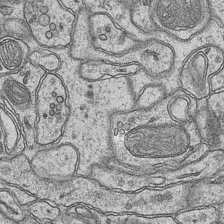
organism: Mouse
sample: CA1 Hippocampus